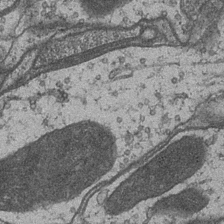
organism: Drosophila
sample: Optic medulla